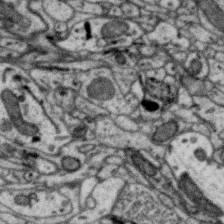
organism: Zebra finch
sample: Brain